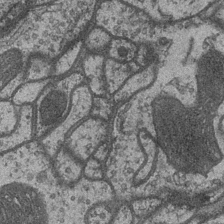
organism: Drosophila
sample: Optic medulla